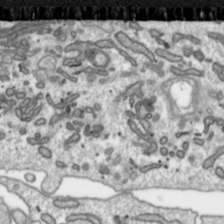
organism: Toxoplasma gondii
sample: Parasites in a vacuole inside a host cell